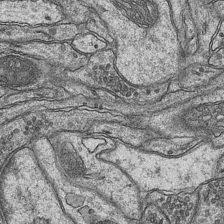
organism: Mouse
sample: CA1 Hippocampus